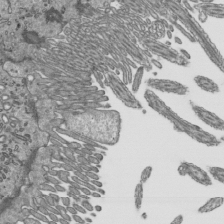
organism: Mouse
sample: Mouse epididymis efferent ductule cilia